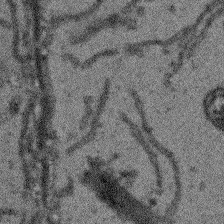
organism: Arabidopsis thaliana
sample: Root tip